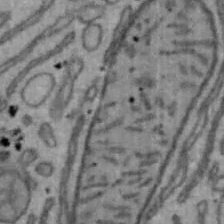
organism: Mouse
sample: Liver